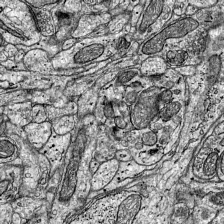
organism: Mouse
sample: Visual Cortex